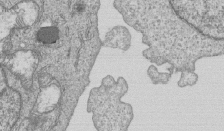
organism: Human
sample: MDA-MB-231 cells